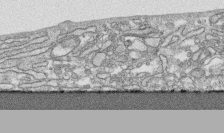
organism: Human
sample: CRL-1474